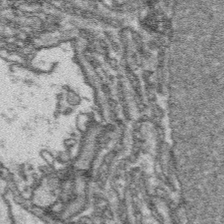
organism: Platynereis dumerilii